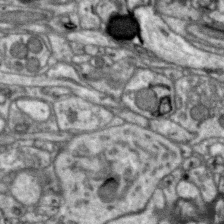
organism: Zebra finch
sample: Brain